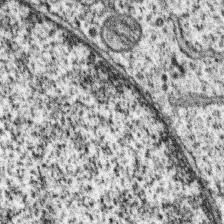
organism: Human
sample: HeLa cells